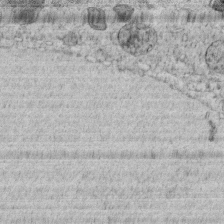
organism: C. elegans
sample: C. elegans embryo early stage